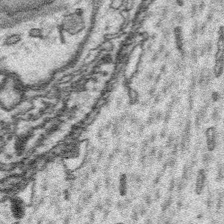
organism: Platynereis dumerilii